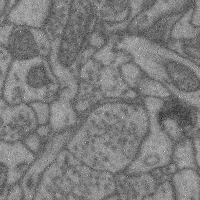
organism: Mouse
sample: Cerebral cortex